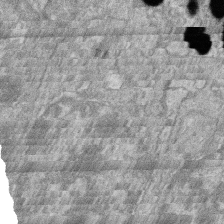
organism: Zebrafish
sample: Cilia; retinal pigment epithelium